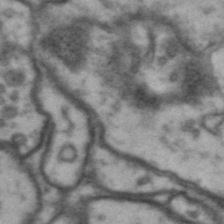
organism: Drosophila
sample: Brain